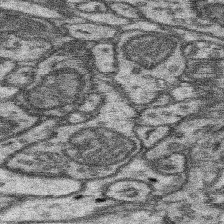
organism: Mouse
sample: Somatosensory cortex neuropil